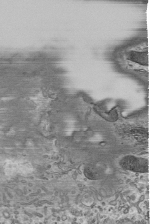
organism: Mouse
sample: Mouse epididymis efferent ductule cilia